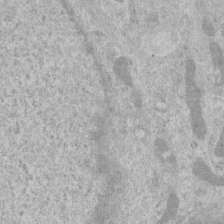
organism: Human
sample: Centriole in RPE cells